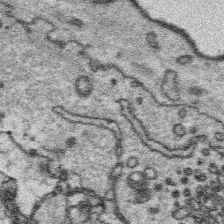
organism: Platynereis dumerilii